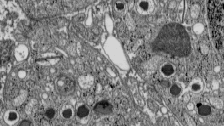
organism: C57BL Mouse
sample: Pancreatic islet